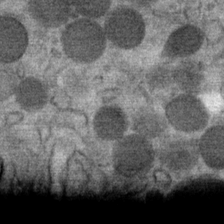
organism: Mouse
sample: Mouse Salivary gland